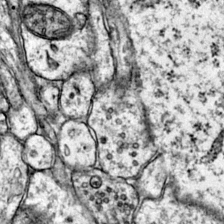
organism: Mouse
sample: Primary visual cortex